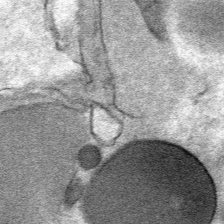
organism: Mouse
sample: Mouse Salivary gland